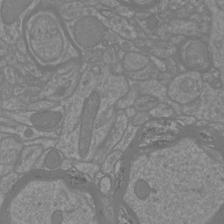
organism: Mouse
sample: Cortical neurons